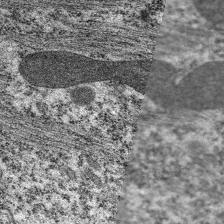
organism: C. elegans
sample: Pharynx